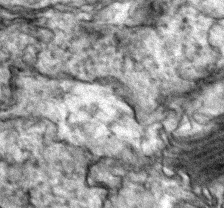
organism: Zebrafish